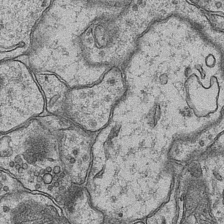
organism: Mouse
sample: CA1 Hippocampus